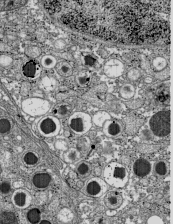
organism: C57BL Mouse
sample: Pancreatic islet